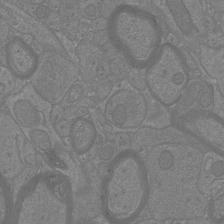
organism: Mouse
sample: Cortical neurons